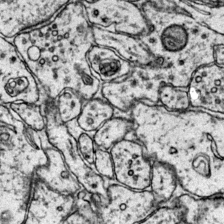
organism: Mouse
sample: Primary visual cortex